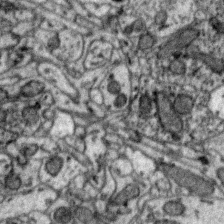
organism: Zebra finch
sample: Brain